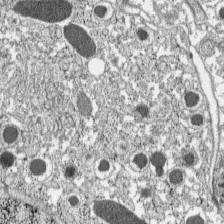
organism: C57BL Mouse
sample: Pancreatic islet